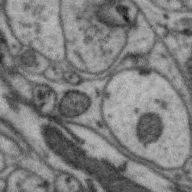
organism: Zebra finch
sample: Brain